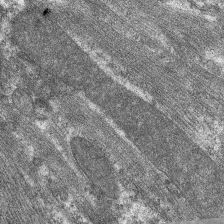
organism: C. elegans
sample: Pharynx